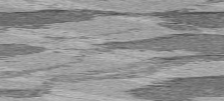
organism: C57BL Mouse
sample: Heart